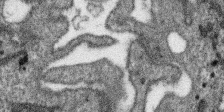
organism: Human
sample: Lung epithelial cells infected with SARS-CoV-2